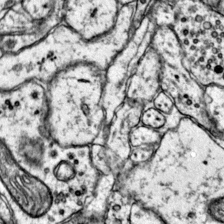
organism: Mouse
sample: Primary visual cortex